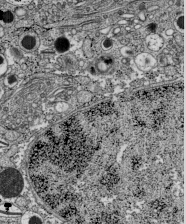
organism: C57BL Mouse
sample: Pancreatic islet